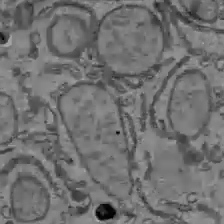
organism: C57BL Mouse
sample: Liver